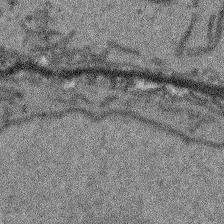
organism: Arabidopsis thaliana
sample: Root tip